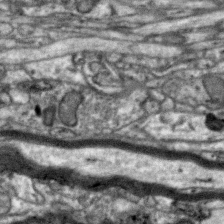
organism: Zebra finch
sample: Brain